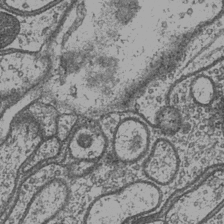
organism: Drosophila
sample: Optic medulla